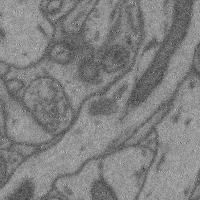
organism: Mouse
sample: Cerebral cortex